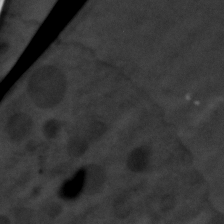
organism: C. elegans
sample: C. elegans embryo